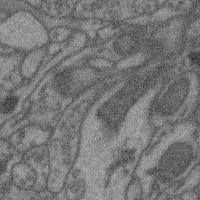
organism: Mouse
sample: Cerebral cortex